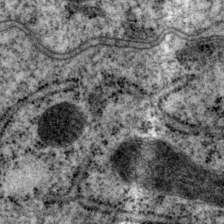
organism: P. pacificus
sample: Pharynx